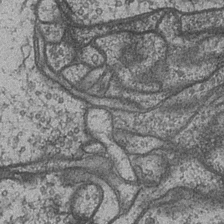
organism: Drosophila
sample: Optic medulla